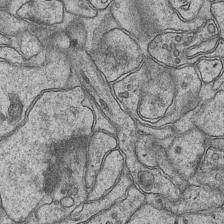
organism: Mouse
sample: CA1 Hippocampus